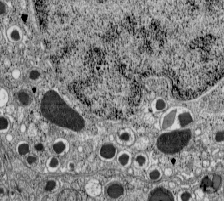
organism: C57BL Mouse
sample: Pancreatic islet